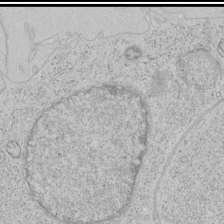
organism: Human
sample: Mitochondria in HCT116 cells